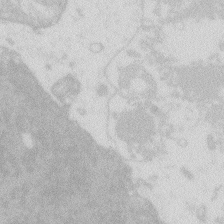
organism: Zebrafish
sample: Macrophage